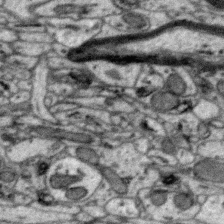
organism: Zebra finch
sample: Brain